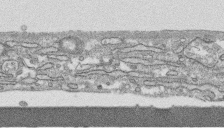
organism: Human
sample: CRL-1474